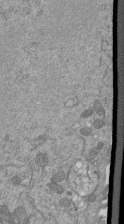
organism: Mouse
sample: ED-1 cell nuclei; centrioles